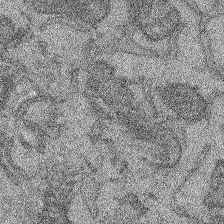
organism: Human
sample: HeLa cells